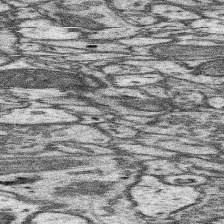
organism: Mouse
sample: Somatosensory cortex neuropil